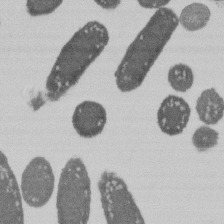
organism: E. coli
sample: Bacterial nucleoid